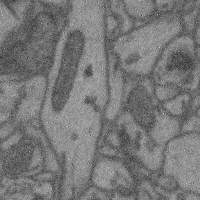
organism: Mouse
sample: Cerebral cortex